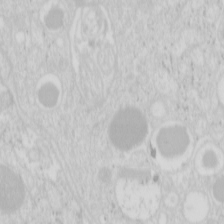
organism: Mouse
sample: Pancreas